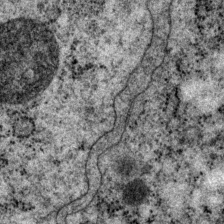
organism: P. pacificus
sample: Pharynx